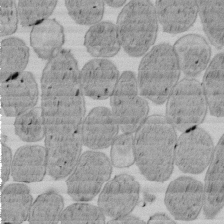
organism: E. coli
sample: Bacterial nucleoid